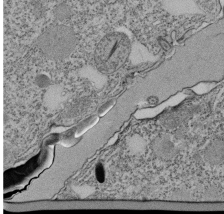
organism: Tetrahymena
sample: Cilia in tetrahymena